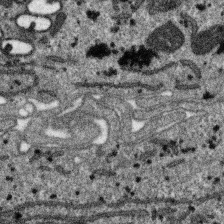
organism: Human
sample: Lung epithelial cells infected with SARS-CoV-2